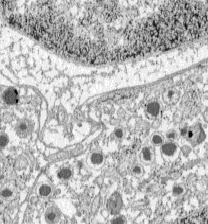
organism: C57BL Mouse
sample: Pancreatic islet